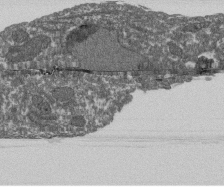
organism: Dictyostelium discoideum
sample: Dictyostelium multivesicular bodies